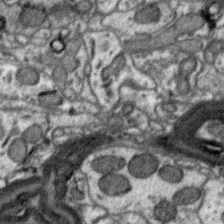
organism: Zebra finch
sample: Brain